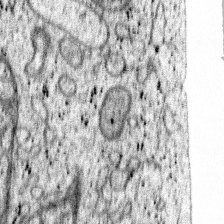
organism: Human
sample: HeLa cells